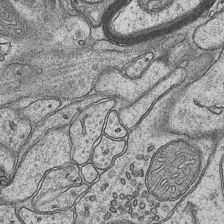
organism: Mouse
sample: CA1 Hippocampus